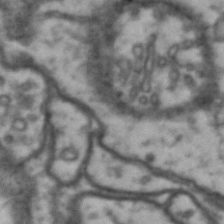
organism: Drosophila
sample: Brain